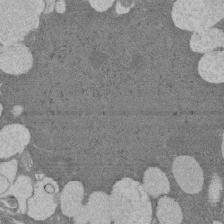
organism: Rat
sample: Salivary granule